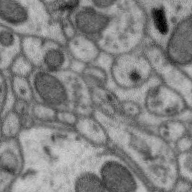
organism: Zebra finch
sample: Brain